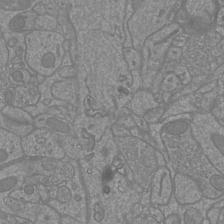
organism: Mouse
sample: Cortical neurons